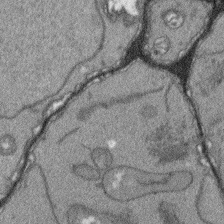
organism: Arabidopsis thaliana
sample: Root tip